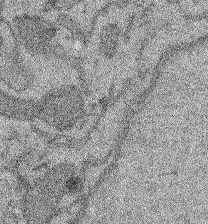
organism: Human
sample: HeLa cells